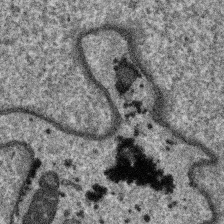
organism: Human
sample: Lung epithelial cells infected with SARS-CoV-2